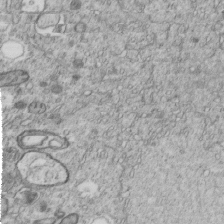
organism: C. elegans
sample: C. elegans embryo early stage